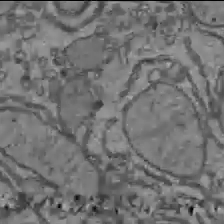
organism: C57BL Mouse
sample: Liver